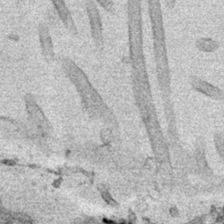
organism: Human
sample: Mitochondria in HCT116 cells